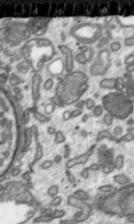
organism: Toxoplasma gondii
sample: Parasites in a vacuole inside a host cell